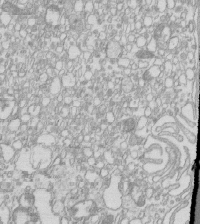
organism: Mouse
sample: Macrophages